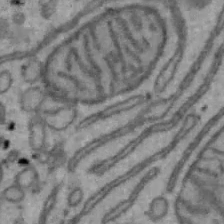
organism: Mouse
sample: Liver